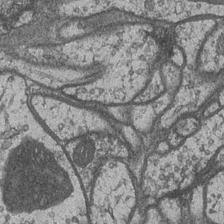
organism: Drosophila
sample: Optic medulla